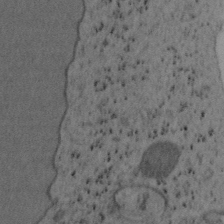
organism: Human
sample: HeLa cells